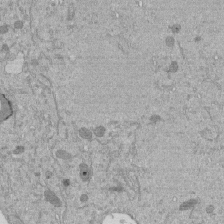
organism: Mouse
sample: ED-1 cell nuclei; centrioles